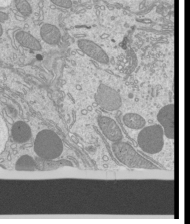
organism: Mouse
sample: Cilia; mouse epididymis